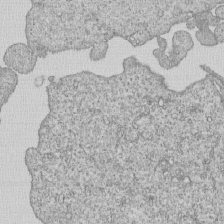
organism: Human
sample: MDA-MB-231 cells